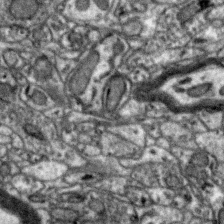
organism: Zebra finch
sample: Brain